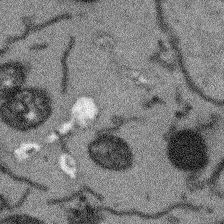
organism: Arabidopsis thaliana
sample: Root tip